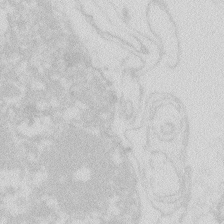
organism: Zebrafish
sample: Macrophage